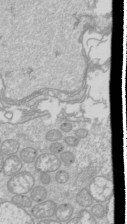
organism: Drosophila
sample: Cell division; meiosis; drosophila spermatocytes